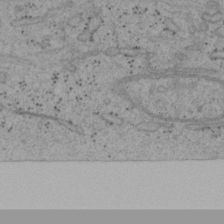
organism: Human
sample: HeLa cells